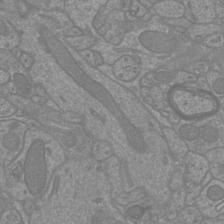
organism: Mouse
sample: Cortical neurons